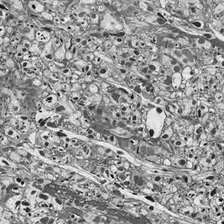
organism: Drosophila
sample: Optic lobe